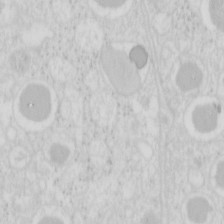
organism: Mouse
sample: Pancreas